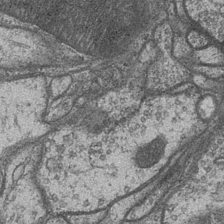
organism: Drosophila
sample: Optic medulla